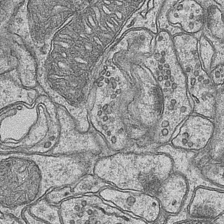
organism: Mouse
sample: CA1 Hippocampus